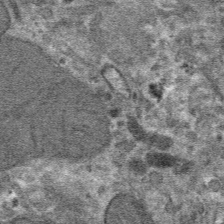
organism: Mouse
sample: Mouse hepatocytes